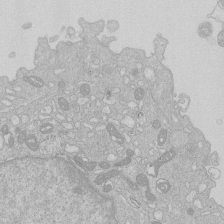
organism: Human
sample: Macrophage cells